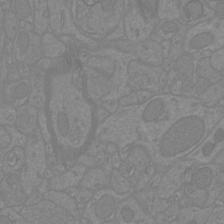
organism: Mouse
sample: Cortical neurons